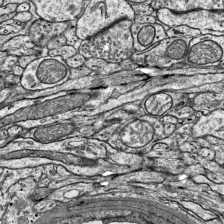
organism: Mouse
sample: Visual Cortex